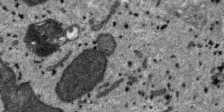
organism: Human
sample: Lung epithelial cells, uninfected (mock) control